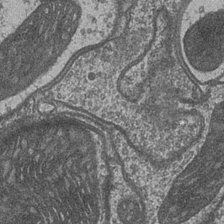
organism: Drosophila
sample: Optic medulla